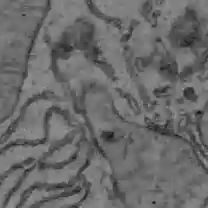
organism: C57BL Mouse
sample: Liver